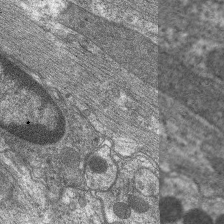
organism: C. elegans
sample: Pharynx